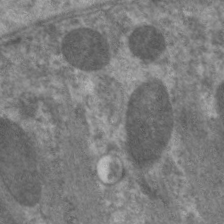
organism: C. elegans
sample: Pharynx